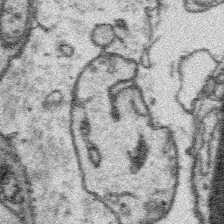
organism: Platynereis dumerilii